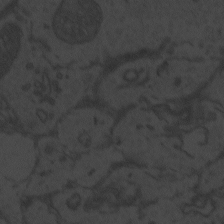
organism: Zebrafish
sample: Macrophage infected with Toxoplasma gondii